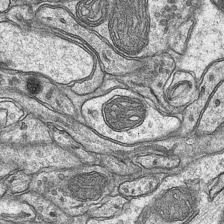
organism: Mouse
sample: CA1 Hippocampus